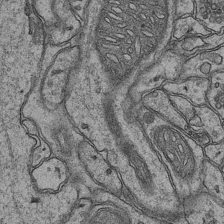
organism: Mouse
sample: CA1 Hippocampus